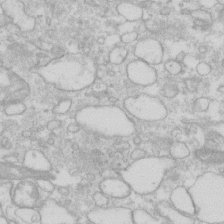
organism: Human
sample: Fibroblast cells